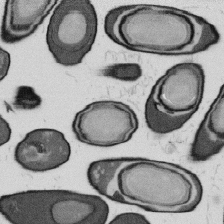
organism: B. subtilis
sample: Bacterial spore